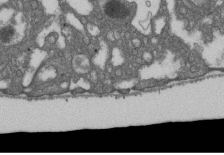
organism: Drosophila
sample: Nephrocyte